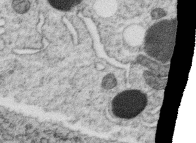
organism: C. elegans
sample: C. elegans oocyte; sperm cells